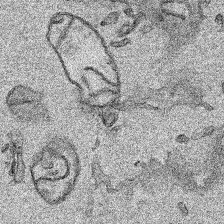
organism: Human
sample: Mitochondria in HCT116 cells